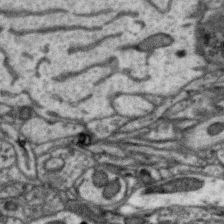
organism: Zebra finch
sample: Brain